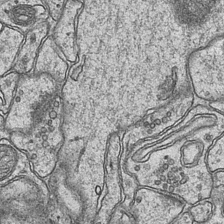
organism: Mouse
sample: CA1 Hippocampus